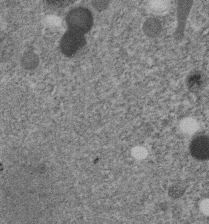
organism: C. elegans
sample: C. elegans embryo early stage